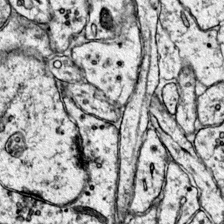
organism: Mouse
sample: Primary visual cortex